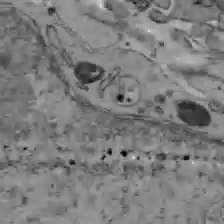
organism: C57BL Mouse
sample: Liver